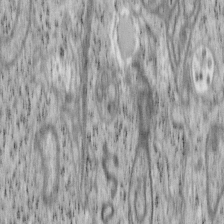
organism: Human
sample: HeLa cells